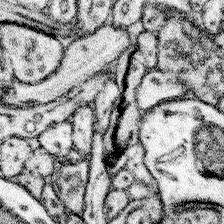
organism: Mouse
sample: Somatosensory cortex neuropil